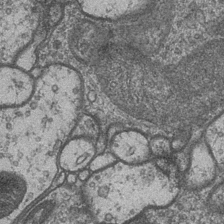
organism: Drosophila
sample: Optic medulla